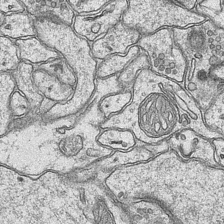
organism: Mouse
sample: CA1 Hippocampus